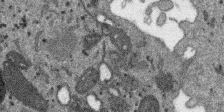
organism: Human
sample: Lung epithelial cells infected with SARS-CoV-2